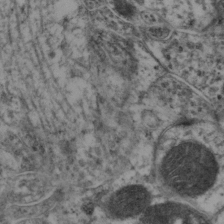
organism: Mouse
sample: Neocortex